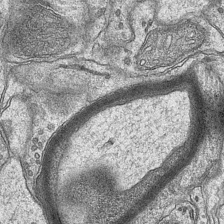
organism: Mouse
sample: CA1 Hippocampus